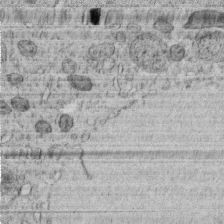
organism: C. elegans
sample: C. elegans embryo early stage